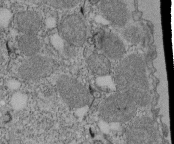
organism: Tetrahymena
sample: Cilia in tetrahymena